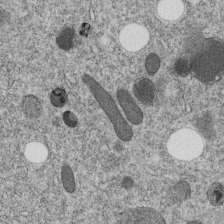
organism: C. elegans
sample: C. elegans embryo early stage